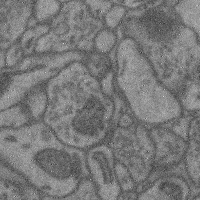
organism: Mouse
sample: Cerebral cortex